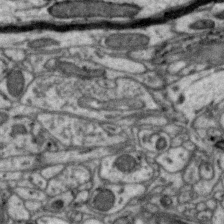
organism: Zebra finch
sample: Brain